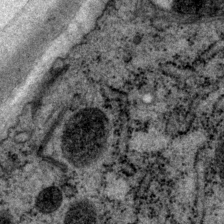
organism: P. pacificus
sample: Pharynx